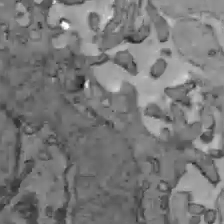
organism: C57BL Mouse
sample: Liver